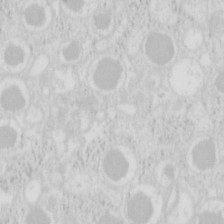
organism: Mouse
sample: Pancreas